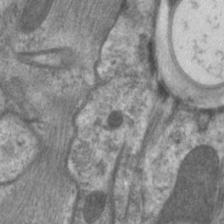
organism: C. elegans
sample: Pharynx